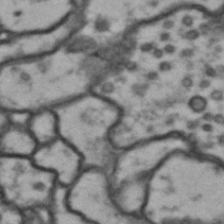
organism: Drosophila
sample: Brain